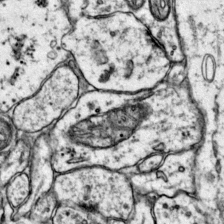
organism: Mouse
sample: Primary visual cortex